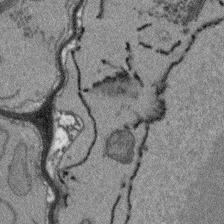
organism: Arabidopsis thaliana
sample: Root tip